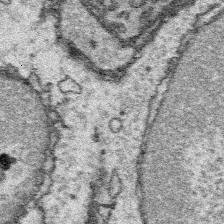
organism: Platynereis dumerilii